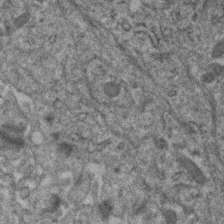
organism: Human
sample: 1205lu cells